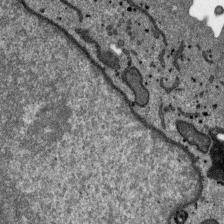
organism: Human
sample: Lung epithelial cells, uninfected (mock) control